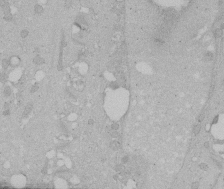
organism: Human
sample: Melanocyte Keratinocyte synapse skin construct